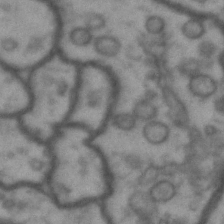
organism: Drosophila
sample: Brain